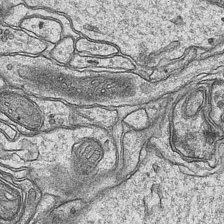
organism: Mouse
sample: CA1 Hippocampus